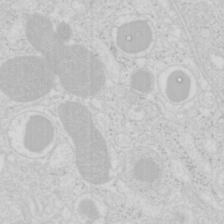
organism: Mouse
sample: Pancreas